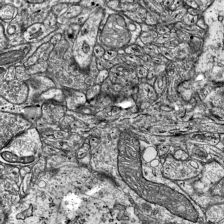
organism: Mouse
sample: Visual Cortex